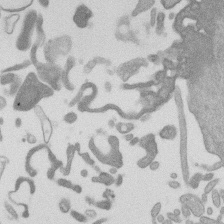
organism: Mouse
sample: Dividing mouse embryo 1 cell stage